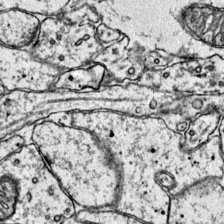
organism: Mouse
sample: Primary visual cortex